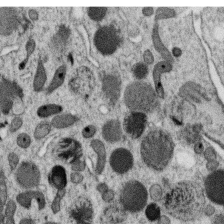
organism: C. elegans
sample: C. elegans oocyte; sperm cells